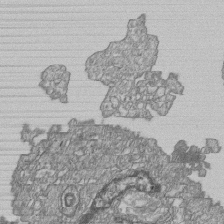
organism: Human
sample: MDA-MB-231 cells